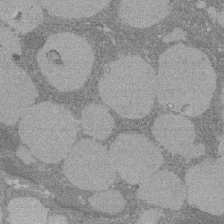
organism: Rat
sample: Salivary granule